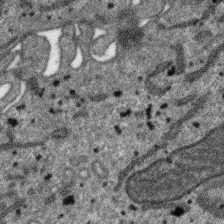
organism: Human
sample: Lung epithelial cells infected with SARS-CoV-2